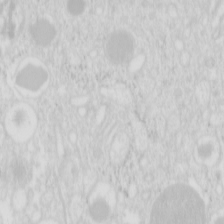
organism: Mouse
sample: Pancreas